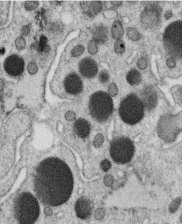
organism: C. elegans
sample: C. elegans oocyte; sperm cells